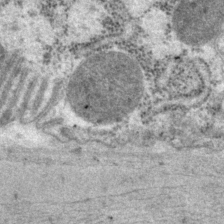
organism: P. pacificus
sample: Pharynx